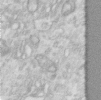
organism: Human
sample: Centriole in RPE cells